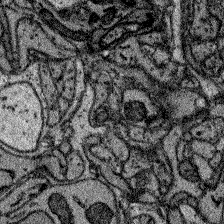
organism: Zebrafish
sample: Larval olfactory bulb